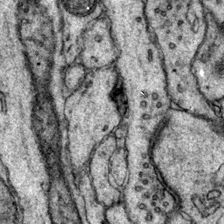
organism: Mouse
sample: Primary visual cortex